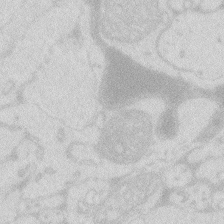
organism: Zebrafish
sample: Macrophage